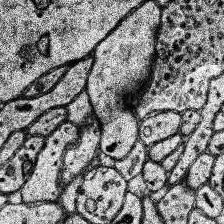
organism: Human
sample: Temporal Lobe